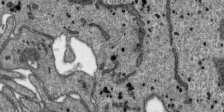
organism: Human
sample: Lung epithelial cells, uninfected (mock) control